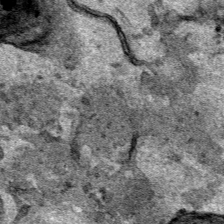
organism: Human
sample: Mitochondria in HCT116 cells